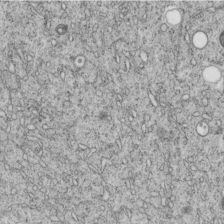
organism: C. elegans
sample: C. elegans embryo early stage